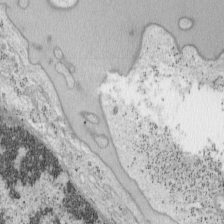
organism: Mouse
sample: OT-I killer T cells with ID8 ovarian cancer cells